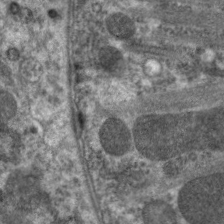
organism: C. elegans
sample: Pharynx